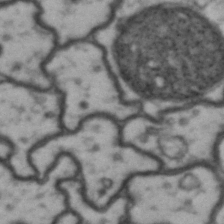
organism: Drosophila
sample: Brain